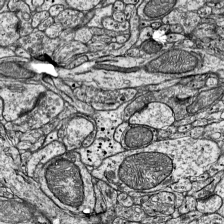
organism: Mouse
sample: Visual Cortex